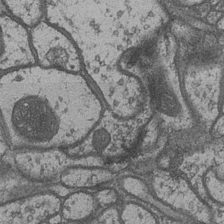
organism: Drosophila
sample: Optic medulla